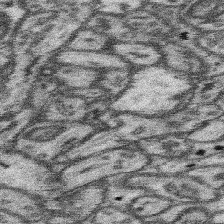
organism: Mouse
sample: Somatosensory cortex neuropil